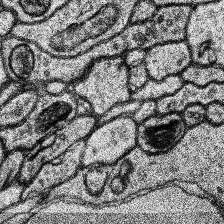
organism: Human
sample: Temporal Lobe